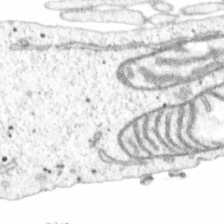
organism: Human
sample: HeLa cells